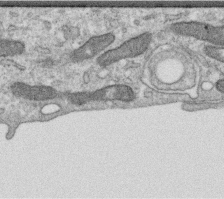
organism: Human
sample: Centriole in RPE cells